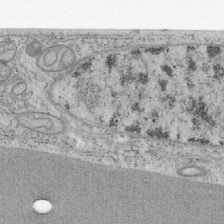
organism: Human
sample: HeLa cells